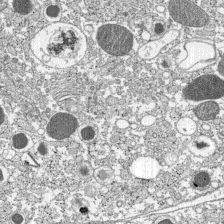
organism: C57BL Mouse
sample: Pancreatic islet